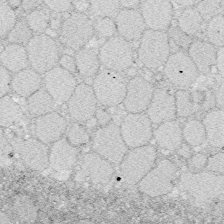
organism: Zebrafish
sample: Whole-Brain